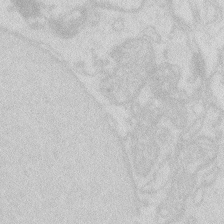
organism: Zebrafish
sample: Macrophage